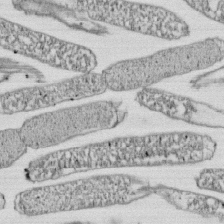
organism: E. coli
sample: Bacterial nucleoid